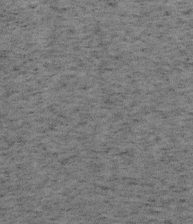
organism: Mouse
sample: OT-I killer T cells with ID8 ovarian cancer cells